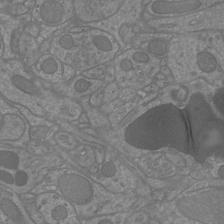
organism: Mouse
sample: Cortical neurons